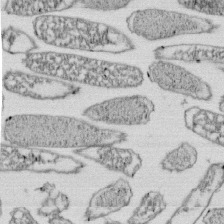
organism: E. coli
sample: Bacterial nucleoid